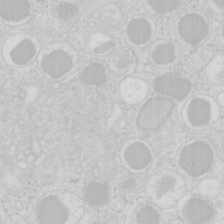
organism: Mouse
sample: Pancreas